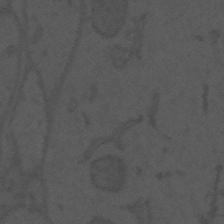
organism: Mouse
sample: Suprachiasmatic nucleus